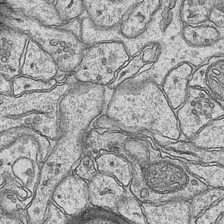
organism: Mouse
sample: CA1 Hippocampus